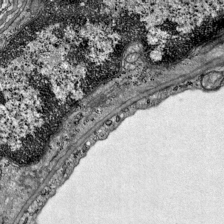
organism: Mouse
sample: Visual Cortex